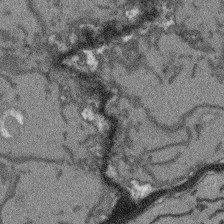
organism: Arabidopsis thaliana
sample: Root tip